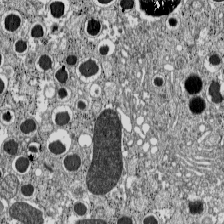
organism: C57BL Mouse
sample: Pancreatic islet